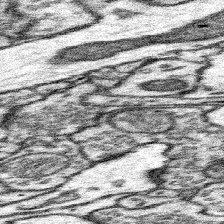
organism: Mouse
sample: Somatosensory cortex neuropil